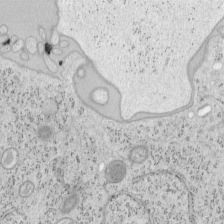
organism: Mouse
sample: OT-I killer T cells with ID8 ovarian cancer cells